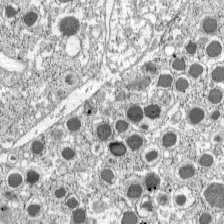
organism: C57BL Mouse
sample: Pancreatic islet